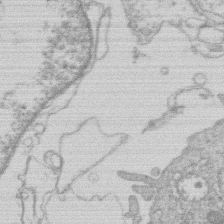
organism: Human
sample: Macrophage cells